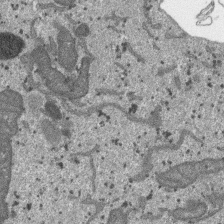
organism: Human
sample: Lung epithelial cells infected with SARS-CoV-2